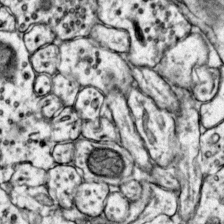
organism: Mouse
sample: Primary visual cortex